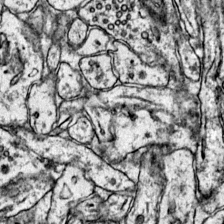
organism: Mouse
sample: Primary visual cortex